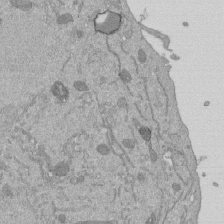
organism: Mouse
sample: ED-1 cell nuclei; centrioles